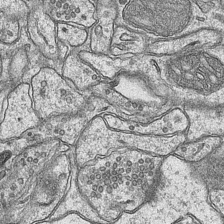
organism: Mouse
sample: CA1 Hippocampus